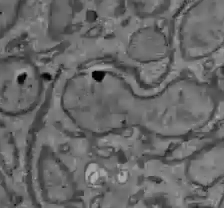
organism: C57BL Mouse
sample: Liver